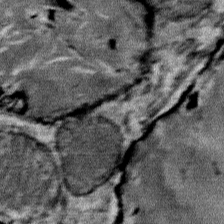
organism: Mouse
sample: Mouse Salivary gland